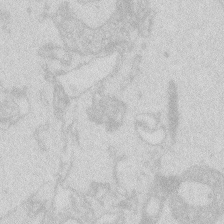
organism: Zebrafish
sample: Macrophage